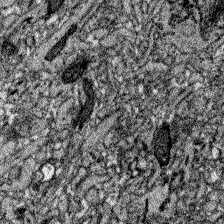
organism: Zebrafish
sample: Larval olfactory bulb